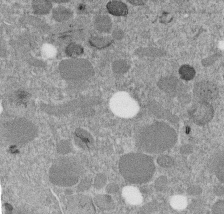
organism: C. elegans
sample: C. elegans embryo early stage